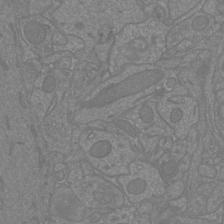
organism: Mouse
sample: Cortical neurons